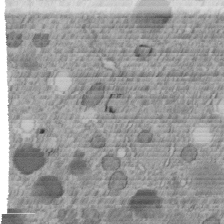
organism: C. elegans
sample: C. elegans embryo early stage